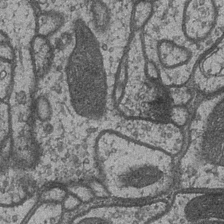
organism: Drosophila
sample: Optic medulla